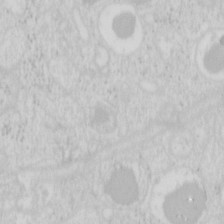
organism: Mouse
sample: Pancreas